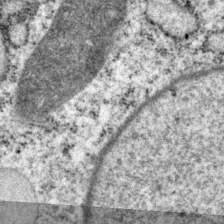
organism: P. pacificus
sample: Pharynx